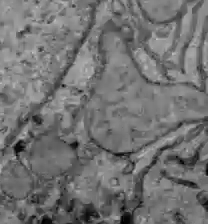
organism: C57BL Mouse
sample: Liver